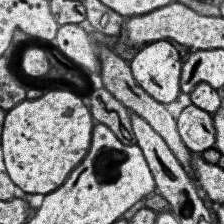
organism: Human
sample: Temporal Lobe